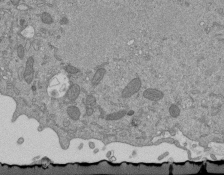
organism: Mouse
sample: ED-1 cell nuclei; centrioles